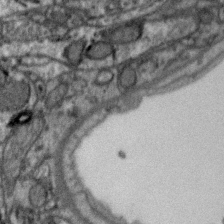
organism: Zebra finch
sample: Brain